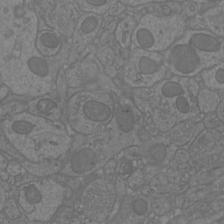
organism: Mouse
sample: Cortical neurons